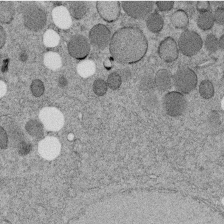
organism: C. elegans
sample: C. elegans embryo early stage